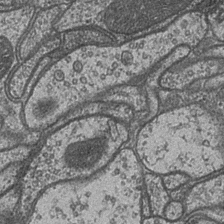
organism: Drosophila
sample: Optic medulla